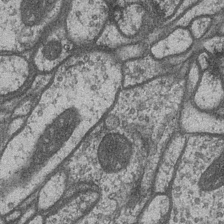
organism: Drosophila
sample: Optic medulla